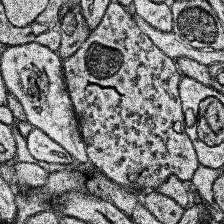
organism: Human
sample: Temporal Lobe